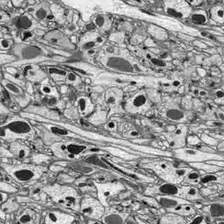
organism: Drosophila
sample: Optic lobe